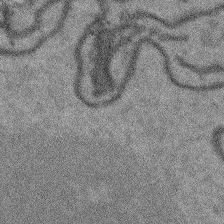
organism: Arabidopsis thaliana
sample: Root tip